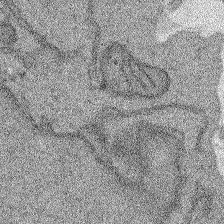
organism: Human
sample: HeLa cells